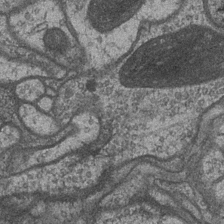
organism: Drosophila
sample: Optic medulla